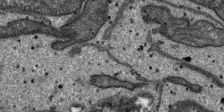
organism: Human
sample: Lung epithelial cells, uninfected (mock) control